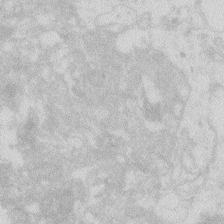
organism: Zebrafish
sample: Macrophage